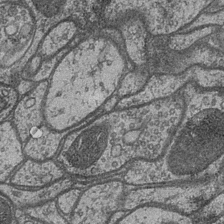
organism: Drosophila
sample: Optic medulla